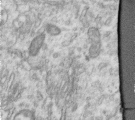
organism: Human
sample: Centriole in RPE cells